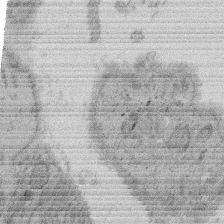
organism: Rat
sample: Salivary granule